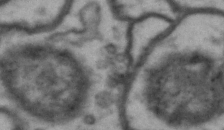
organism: Drosophila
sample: Brain